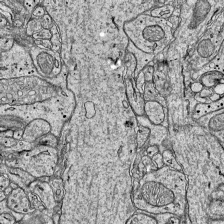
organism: Mouse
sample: Visual Cortex